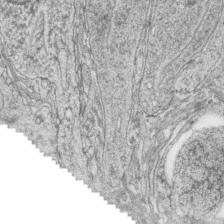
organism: Zebrafish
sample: synaptic ribbons in rod cells and cone cells